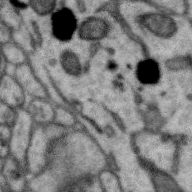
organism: Zebra finch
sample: Brain